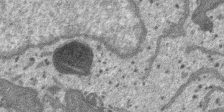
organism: Human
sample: Lung epithelial cells infected with SARS-CoV-2